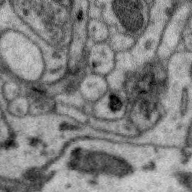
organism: Zebra finch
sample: Brain